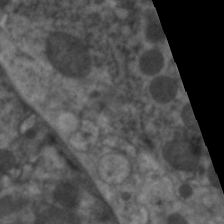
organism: C. elegans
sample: Pharynx